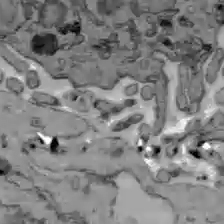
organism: C57BL Mouse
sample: Liver